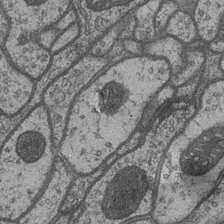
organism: Drosophila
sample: Optic medulla